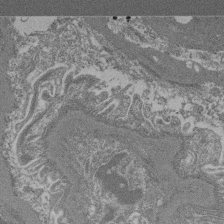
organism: Mouse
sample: Glomerulus